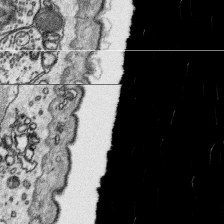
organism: Platynereis dumerilii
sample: Parapodia